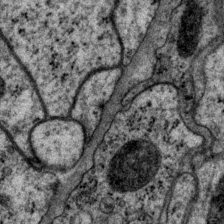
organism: P. pacificus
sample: Pharynx